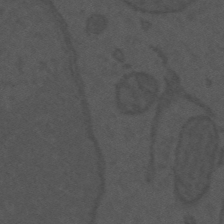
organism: Mouse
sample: Suprachiasmatic nucleus